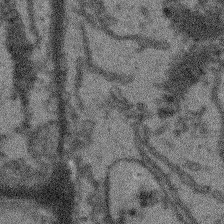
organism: Arabidopsis thaliana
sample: Root tip